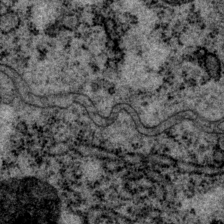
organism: P. pacificus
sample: Pharynx